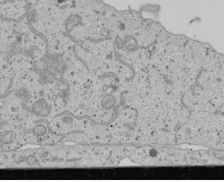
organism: Human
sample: Mitochondria in U2OS cells